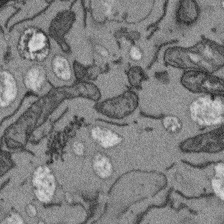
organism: Arabidopsis thaliana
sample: Root tip